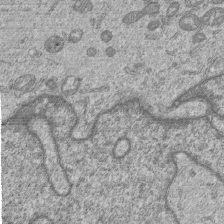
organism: Human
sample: MDA-MB-231 cells